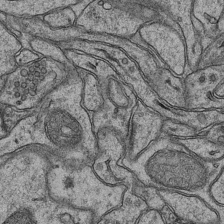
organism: Mouse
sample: CA1 Hippocampus